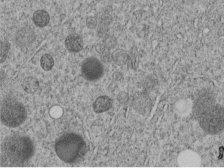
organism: C. elegans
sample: C. elegans embryo early stage